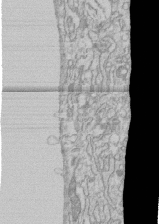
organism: Human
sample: CRL-1474